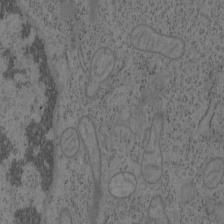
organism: Mouse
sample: OT-I killer T cells with ID8 ovarian cancer cells